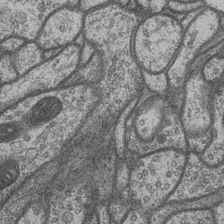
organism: Drosophila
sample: Optic medulla